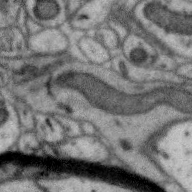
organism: Zebra finch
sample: Brain